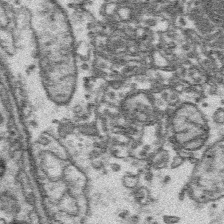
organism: Platynereis dumerilii